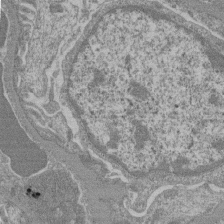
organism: Mouse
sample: Glomerulus